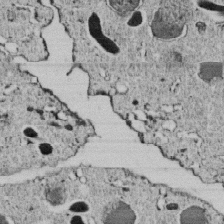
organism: C. elegans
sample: C. elegans embryo early stage